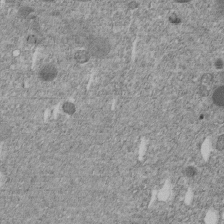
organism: C. elegans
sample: C. elegans embryo early stage